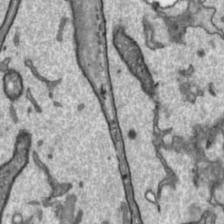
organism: Toxoplasma gondii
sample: Parasites in a vacuole inside a host cell